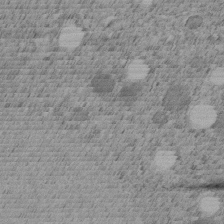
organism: C. elegans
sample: C. elegans embryo early stage